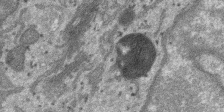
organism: Human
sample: Lung epithelial cells infected with SARS-CoV-2